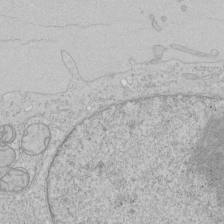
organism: Human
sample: Mitochondria in HCT116 cells